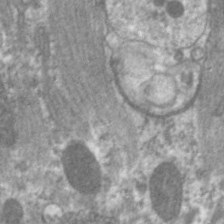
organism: C. elegans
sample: Pharynx